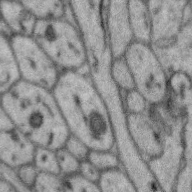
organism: Zebra finch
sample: Brain